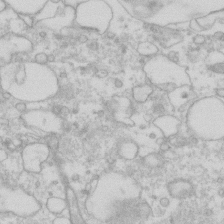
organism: Human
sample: Fibroblast cells